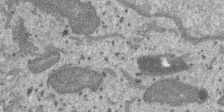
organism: Human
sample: Lung epithelial cells infected with SARS-CoV-2